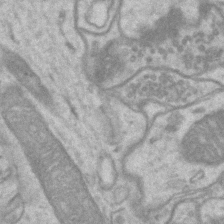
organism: Mouse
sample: CA1 Hippocampus